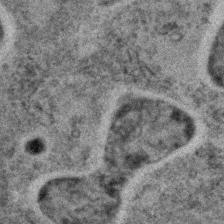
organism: C. elegans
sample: C. elegans embryo